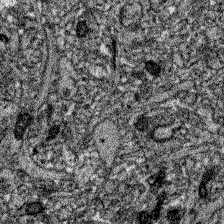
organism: Zebrafish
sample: Larval olfactory bulb